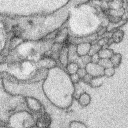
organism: Rabbit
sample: Retina